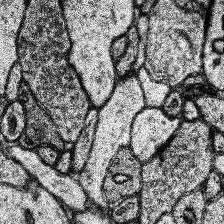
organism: Human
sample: Temporal Lobe